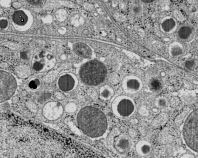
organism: C57BL Mouse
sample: Pancreatic islet